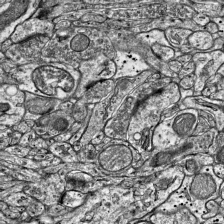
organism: Mouse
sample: Visual Cortex